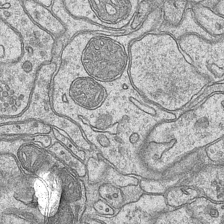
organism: Mouse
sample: CA1 Hippocampus